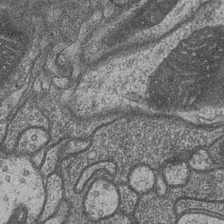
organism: Drosophila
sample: Optic medulla